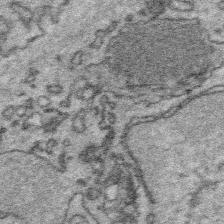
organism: Platynereis dumerilii